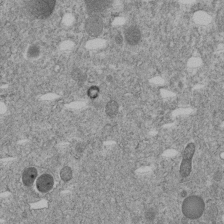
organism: C. elegans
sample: C. elegans embryo early stage